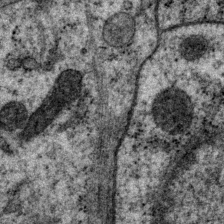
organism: P. pacificus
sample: Pharynx